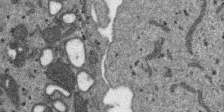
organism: Human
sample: Lung epithelial cells infected with SARS-CoV-2